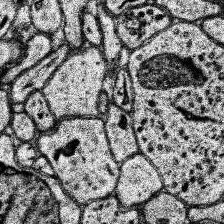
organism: Human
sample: Temporal Lobe